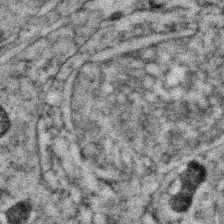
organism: Zebrafish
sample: Zebrafish embryo